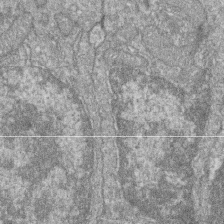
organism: Zebrafish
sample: Cilia; retinal pigment epithelium